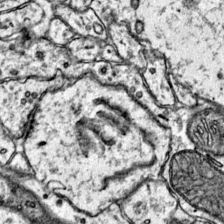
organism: Mouse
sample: Primary visual cortex